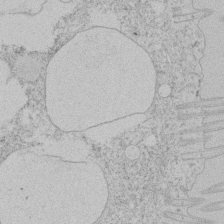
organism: Tetrahymena